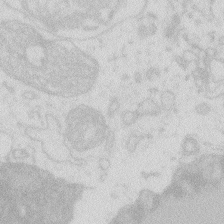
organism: Zebrafish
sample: Macrophage